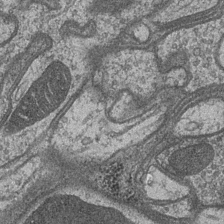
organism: Drosophila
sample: Optic medulla